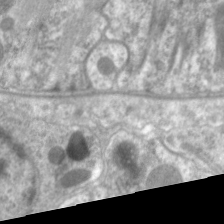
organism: C. elegans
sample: Pharynx